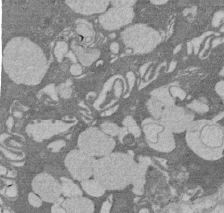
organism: Rat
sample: Salivary granule